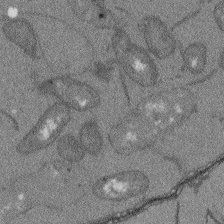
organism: Arabidopsis thaliana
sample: Root tip